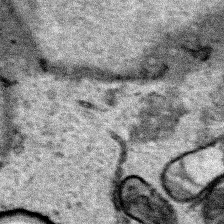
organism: Human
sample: Mitochondria in HCT116 cells